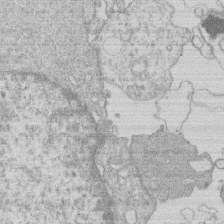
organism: Human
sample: Macrophage cells